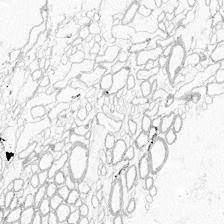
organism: Zebrafish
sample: Whole-Brain